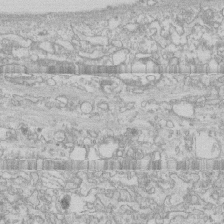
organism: Human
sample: CRL-1474